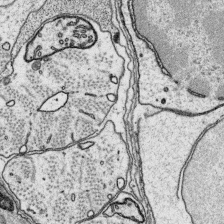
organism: Platynereis dumerilii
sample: Parapodia